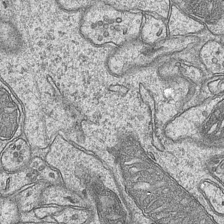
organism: Mouse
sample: CA1 Hippocampus